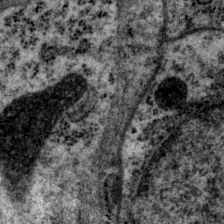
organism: P. pacificus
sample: Pharynx